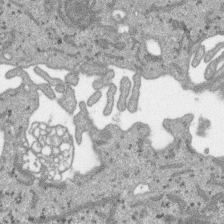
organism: Human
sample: Lung epithelial cells infected with SARS-CoV-2